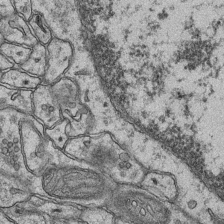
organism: Mouse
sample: CA1 Hippocampus